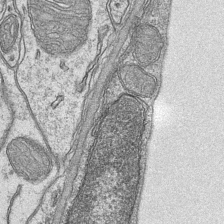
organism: Mouse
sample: CA1 Hippocampus